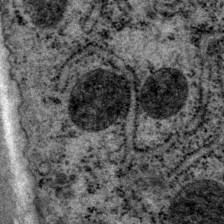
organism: P. pacificus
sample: Pharynx